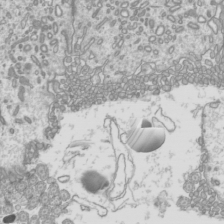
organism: Mouse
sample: Cilia; mouse epididymis